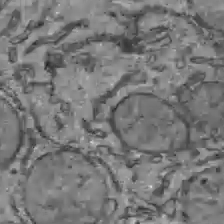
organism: C57BL Mouse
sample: Liver